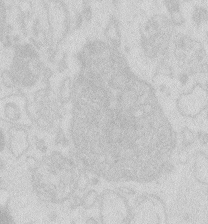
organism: Zebrafish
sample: Macrophage